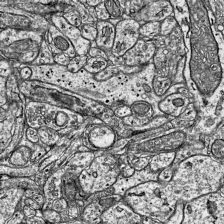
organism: Mouse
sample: Visual Cortex